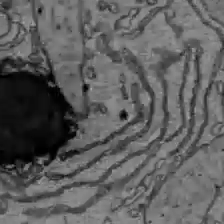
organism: C57BL Mouse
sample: Liver